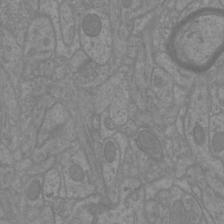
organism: Mouse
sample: Cortical neurons